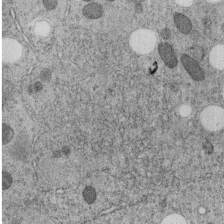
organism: C. elegans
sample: C. elegans embryo early stage